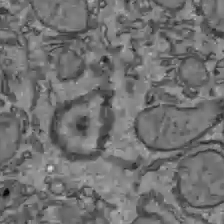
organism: C57BL Mouse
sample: Liver